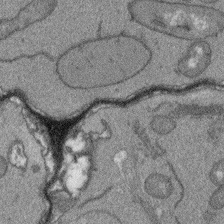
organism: Arabidopsis thaliana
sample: Root tip